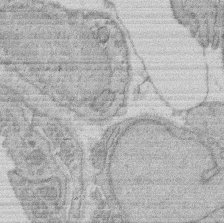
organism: Rat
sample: Salivary granule